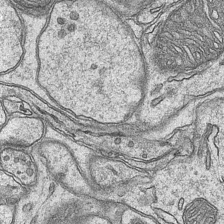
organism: Mouse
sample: CA1 Hippocampus